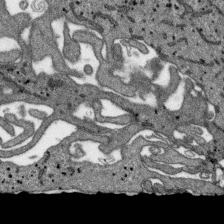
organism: Human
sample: Lung epithelial cells, uninfected (mock) control